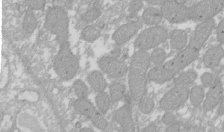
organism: Xenopus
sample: Cilia; centrioles in frog embryo cells